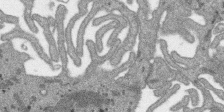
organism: Human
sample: Lung epithelial cells infected with SARS-CoV-2